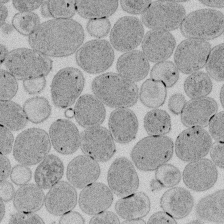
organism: E. coli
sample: Bacterial nucleoid